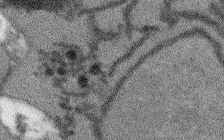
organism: Arabidopsis thaliana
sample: Root tip